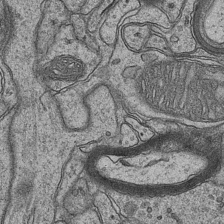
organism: Mouse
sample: CA1 Hippocampus